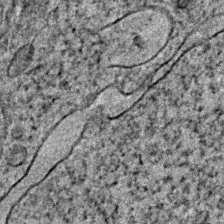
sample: Trachea